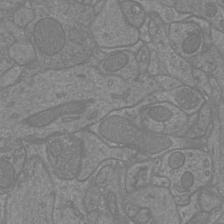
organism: Mouse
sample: Cortical neurons